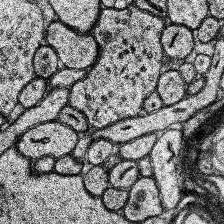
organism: Human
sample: Temporal Lobe